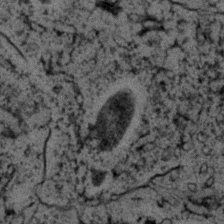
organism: C. elegans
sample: C. elegans embryo